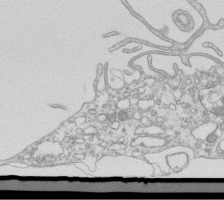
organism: Mouse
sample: Macrophages